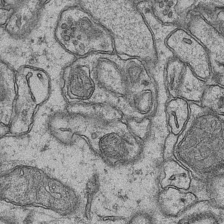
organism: Mouse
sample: CA1 Hippocampus